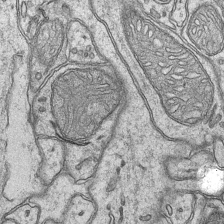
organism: Mouse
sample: CA1 Hippocampus